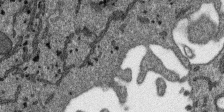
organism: Human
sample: Lung epithelial cells infected with SARS-CoV-2